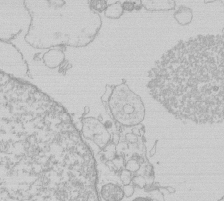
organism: Human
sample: Macrophage cells